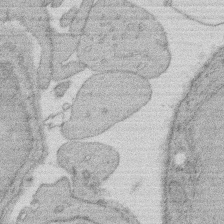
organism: Rat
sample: Salivary granule